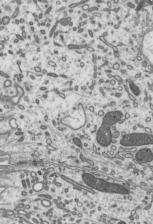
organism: Mouse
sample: Mouse epididymis efferent ductule cilia